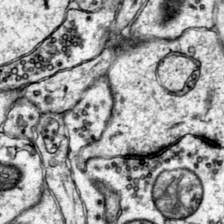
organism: Mouse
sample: Primary visual cortex